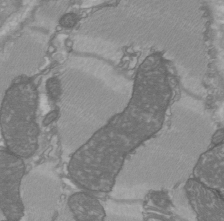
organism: C57BL Mouse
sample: Heart